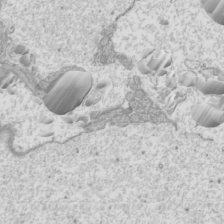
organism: Mouse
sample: Cilia; mouse epididymis